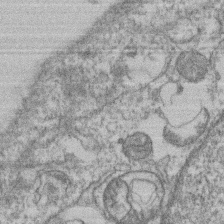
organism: Mouse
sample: T cell stromal cell synapse